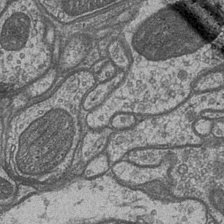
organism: Drosophila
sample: Optic medulla